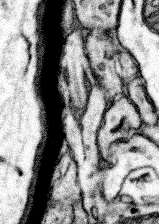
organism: Mouse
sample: Somatosensory cortex neuropil